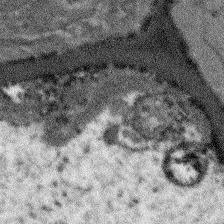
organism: Arabidopsis thaliana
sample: Root tip